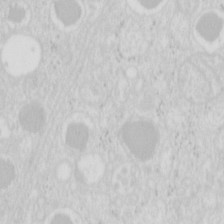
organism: Mouse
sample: Pancreas